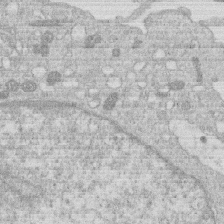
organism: Human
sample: Macrophage cells